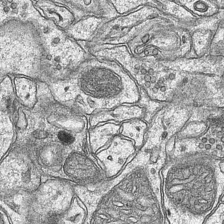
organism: Mouse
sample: CA1 Hippocampus